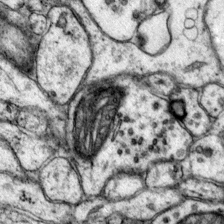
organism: Mouse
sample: Primary visual cortex